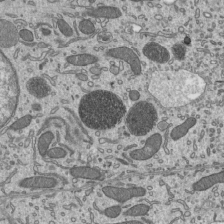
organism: Mouse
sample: Mouse epididymis efferent ductule cilia